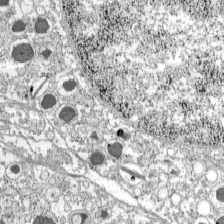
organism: C57BL Mouse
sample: Pancreatic islet